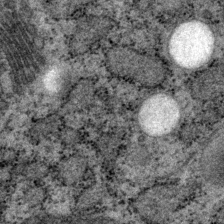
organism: P. pacificus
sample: Pharynx